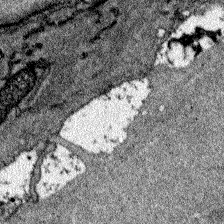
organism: Zebrafish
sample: Larval olfactory bulb